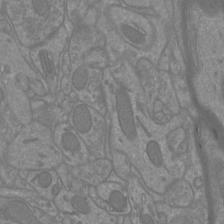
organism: Mouse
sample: Cortical neurons